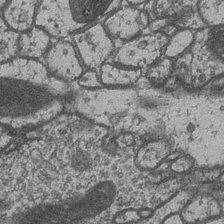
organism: Drosophila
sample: Optic medulla